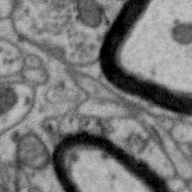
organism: Zebra finch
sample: Brain